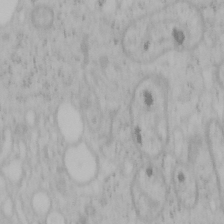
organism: Mouse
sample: OT-I killer T cells with ID8 ovarian cancer cells